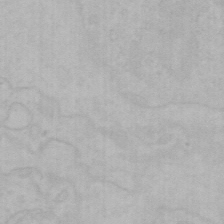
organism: Mouse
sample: Choroid plexus